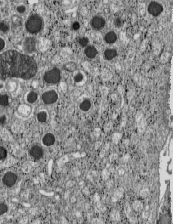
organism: C57BL Mouse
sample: Pancreatic islet